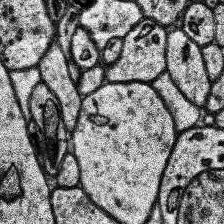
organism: Human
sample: Temporal Lobe